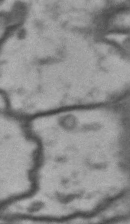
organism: Drosophila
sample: Brain